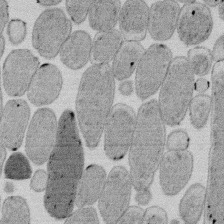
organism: E. coli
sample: Bacterial nucleoid